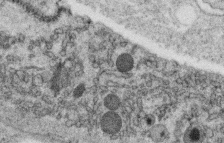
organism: C. elegans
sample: C. elegans oocyte; sperm cells